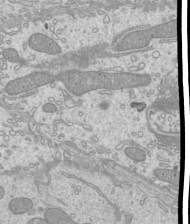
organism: Mouse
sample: Cilia; mouse epididymis